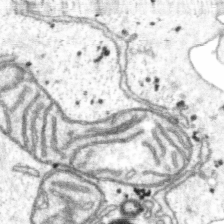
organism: Human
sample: HeLa cells